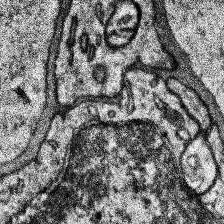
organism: Human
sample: Temporal Lobe